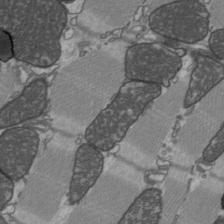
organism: C57BL Mouse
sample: Heart